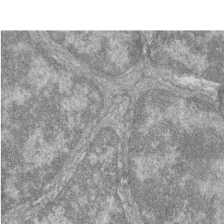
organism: Zebrafish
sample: Cilia; retinal pigment epithelium